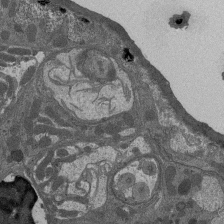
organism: Drosophila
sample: Antenna